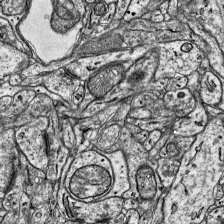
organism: Mouse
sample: Visual Cortex